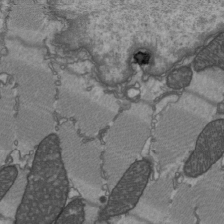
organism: C57BL Mouse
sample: Heart